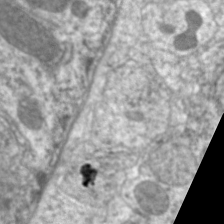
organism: C. elegans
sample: Pharynx